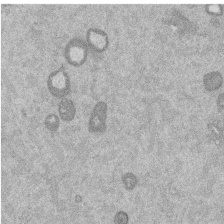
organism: Mouse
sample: Dividing mouse embryo 1 cell stage